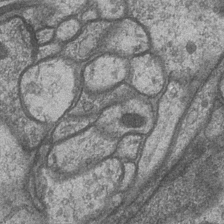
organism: Drosophila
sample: Optic medulla